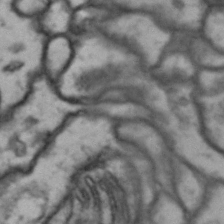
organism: Drosophila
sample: Brain